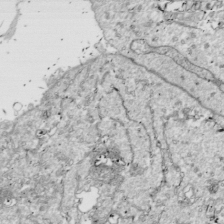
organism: Drosophila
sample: Cell division; meiosis; drosophila spermatocytes